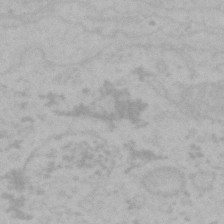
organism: Mouse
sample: Choroid plexus